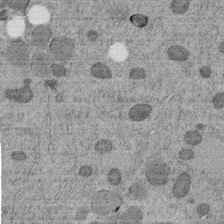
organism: C. elegans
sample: C. elegans embryo early stage